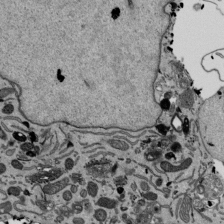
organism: Mouse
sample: ED-1 cell nuclei; centrioles